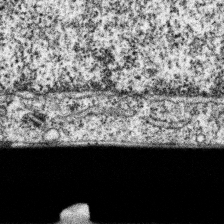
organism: Human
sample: HeLa cells